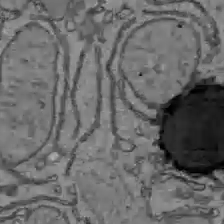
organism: C57BL Mouse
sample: Liver